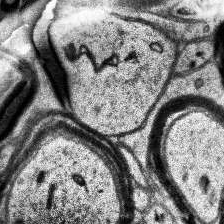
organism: Human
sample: Temporal Lobe